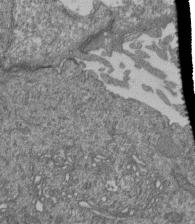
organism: Human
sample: Retinal organoid Rod and Cone cells